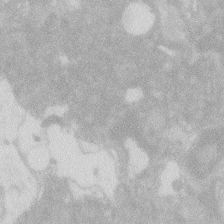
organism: Zebrafish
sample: Macrophage